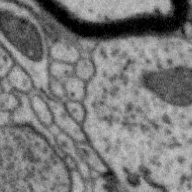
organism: Zebra finch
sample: Brain